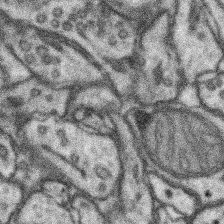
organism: Mouse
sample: Somatosensory cortex neuropil